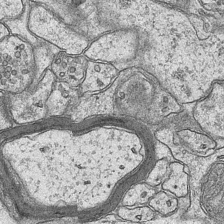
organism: Mouse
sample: CA1 Hippocampus